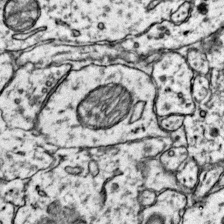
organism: Mouse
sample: Primary visual cortex